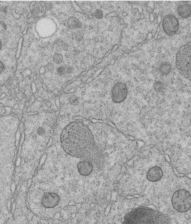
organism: C. elegans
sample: C. elegans embryo early stage